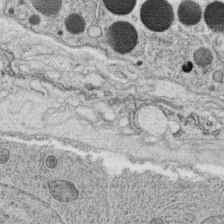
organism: C. elegans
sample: C. elegans oocyte; sperm cells